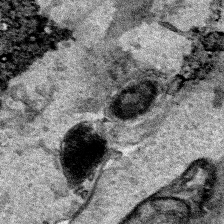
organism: Human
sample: Mitochondria in HCT116 cells